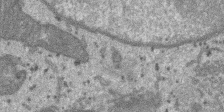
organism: Human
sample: Lung epithelial cells infected with SARS-CoV-2